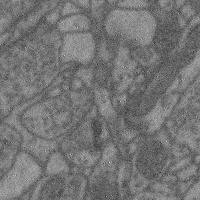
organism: Mouse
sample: Cerebral cortex